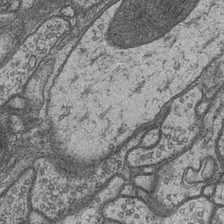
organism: Drosophila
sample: Optic medulla